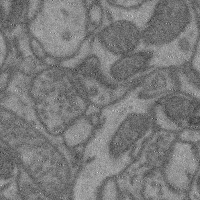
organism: Mouse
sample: Cerebral cortex